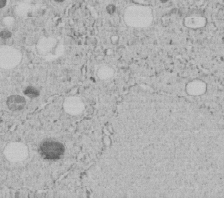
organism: C. elegans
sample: C. elegans embryo early stage